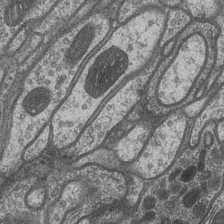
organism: Drosophila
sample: Optic medulla